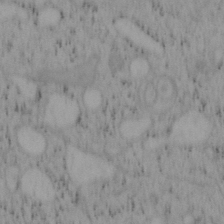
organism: Mouse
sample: OT-I killer T cells with ID8 ovarian cancer cells